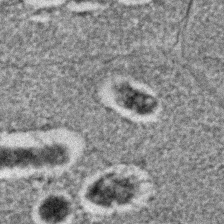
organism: C. elegans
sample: C. elegans embryo